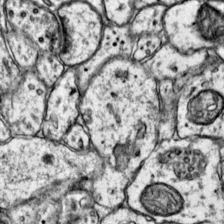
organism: Mouse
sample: Primary visual cortex